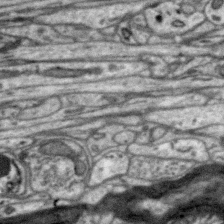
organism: Zebra finch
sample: Brain